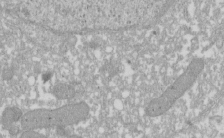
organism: Xenopus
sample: Cilia; centrioles in frog embryo cells